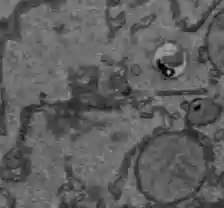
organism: C57BL Mouse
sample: Liver